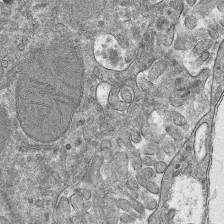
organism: Mouse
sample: Mouse hepatocytes